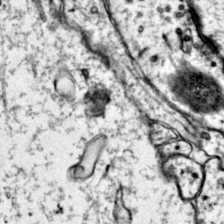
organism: Mouse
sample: Primary visual cortex